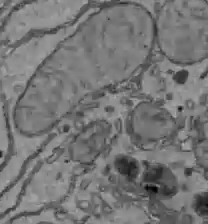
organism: C57BL Mouse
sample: Liver